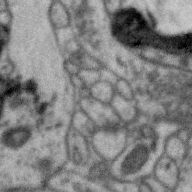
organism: Zebra finch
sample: Brain